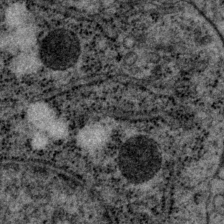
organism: P. pacificus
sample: Pharynx